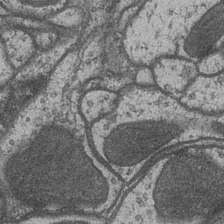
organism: Drosophila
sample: Optic medulla